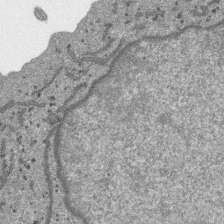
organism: Human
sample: Lung epithelial cells infected with SARS-CoV-2